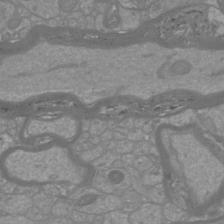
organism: Mouse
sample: Cortical neurons